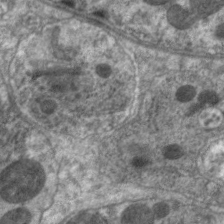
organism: C. elegans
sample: Pharynx